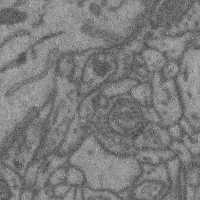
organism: Mouse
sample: Cerebral cortex